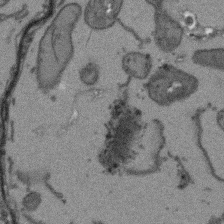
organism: Arabidopsis thaliana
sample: Root tip